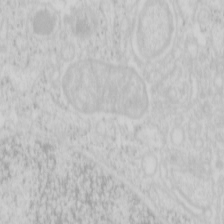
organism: Mouse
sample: Pancreas